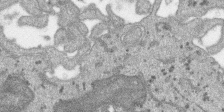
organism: Human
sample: Lung epithelial cells infected with SARS-CoV-2